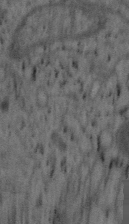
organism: Human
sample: HeLa cells